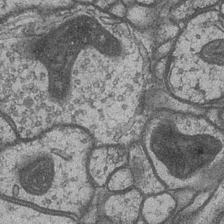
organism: Drosophila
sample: Optic medulla